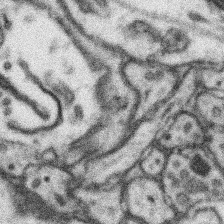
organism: Mouse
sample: Somatosensory cortex neuropil